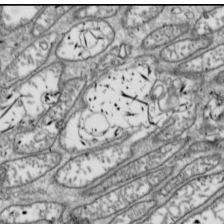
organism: Drosophila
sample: Cell division; meiosis; drosophila spermatocytes